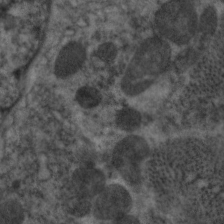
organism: C. elegans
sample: Pharynx